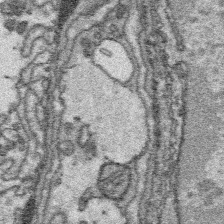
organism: Platynereis dumerilii